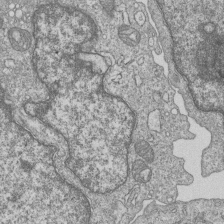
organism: Human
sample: MDA-MB-231 cells